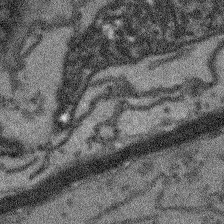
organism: Arabidopsis thaliana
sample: Root tip